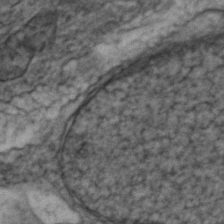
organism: Zebrafish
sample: Zebrafish embryo